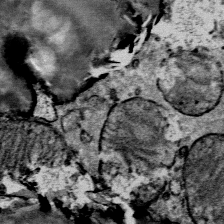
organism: Mouse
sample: Mouse Salivary gland